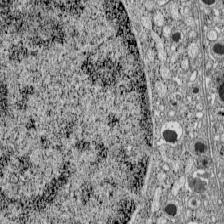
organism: C57BL Mouse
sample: Pancreatic islet